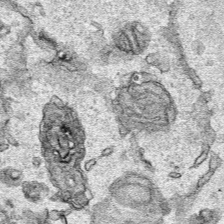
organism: Human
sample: Mitochondria in HCT116 cells